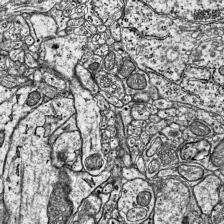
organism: Mouse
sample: Visual Cortex